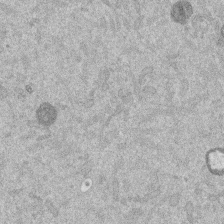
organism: Mouse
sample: Dividing mouse embryo 1 cell stage